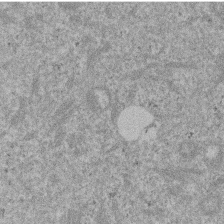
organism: Mouse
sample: Dividing mouse embryo 1 cell stage